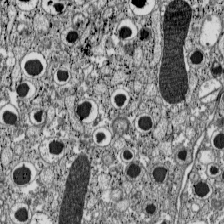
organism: C57BL Mouse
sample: Pancreatic islet